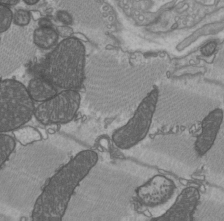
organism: C57BL Mouse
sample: Heart